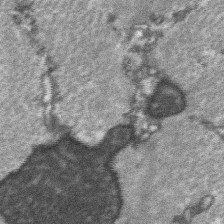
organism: C57BL Mouse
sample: Soleus